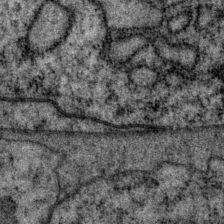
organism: P. pacificus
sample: Pharynx